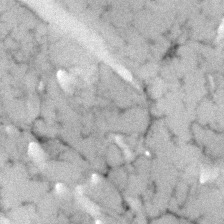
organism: Human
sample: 1205lu cells